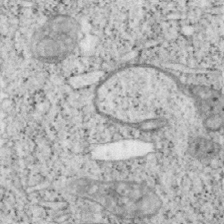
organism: Mouse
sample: OT-I killer T cells with ID8 ovarian cancer cells